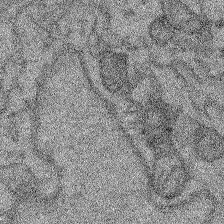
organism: Human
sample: HeLa cells